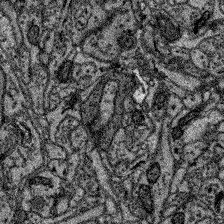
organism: Zebrafish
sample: Larval olfactory bulb